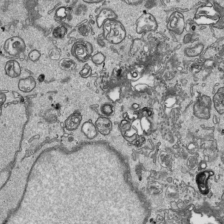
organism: Human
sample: Mitochondria in HCT116 cells